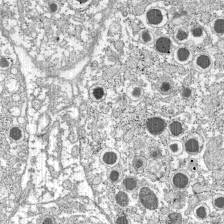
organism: C57BL Mouse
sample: Pancreatic islet